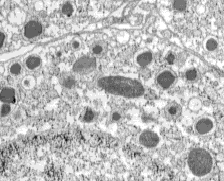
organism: C57BL Mouse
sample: Pancreatic islet